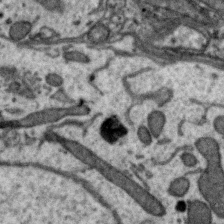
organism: Zebra finch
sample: Brain